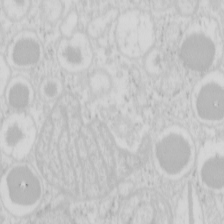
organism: Mouse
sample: Pancreas